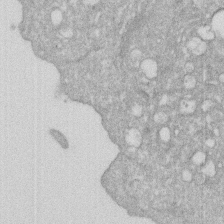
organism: Human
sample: HIV infected U937 cells